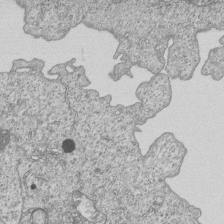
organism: Human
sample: MDA-MB-231 cells